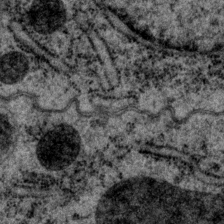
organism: P. pacificus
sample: Pharynx